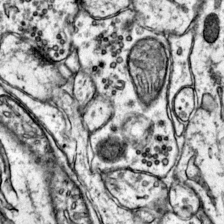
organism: Mouse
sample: Primary visual cortex